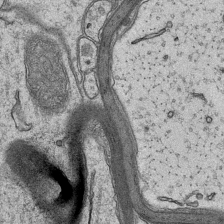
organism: Mouse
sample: CA1 Hippocampus